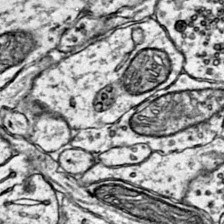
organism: Mouse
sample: Primary visual cortex